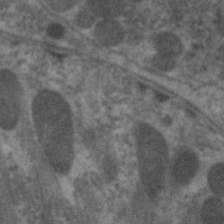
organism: C. elegans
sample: Pharynx